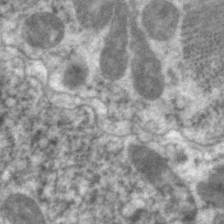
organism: C. elegans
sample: Pharynx